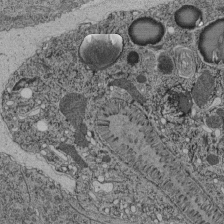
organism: C. elegans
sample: C. elegans pharynx